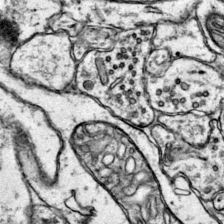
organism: Mouse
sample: Primary visual cortex